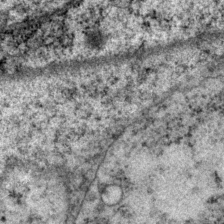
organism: P. pacificus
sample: Pharynx